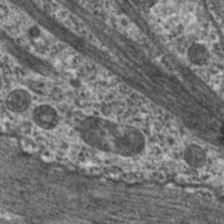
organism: C. elegans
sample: Pharynx